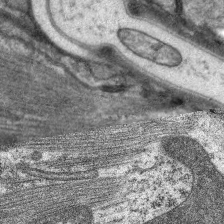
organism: C. elegans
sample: Pharynx